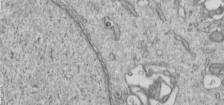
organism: Human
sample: Centriole in RPE cells